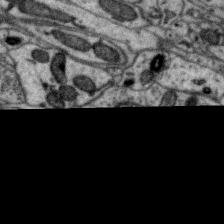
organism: Zebra finch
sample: Brain